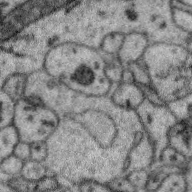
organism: Zebra finch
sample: Brain